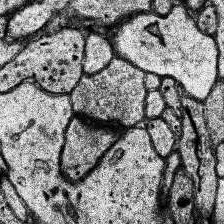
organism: Human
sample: Temporal Lobe